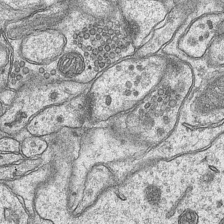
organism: Mouse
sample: CA1 Hippocampus